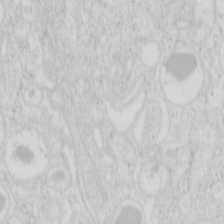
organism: Mouse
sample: Pancreas